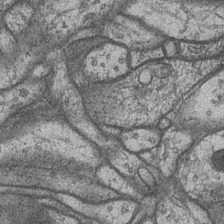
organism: Drosophila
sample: Optic medulla